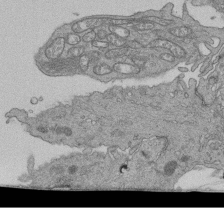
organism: Human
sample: Retinal organoid Rod and Cone cells